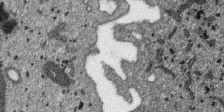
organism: Human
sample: Lung epithelial cells infected with SARS-CoV-2